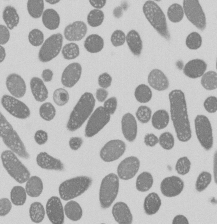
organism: E. coli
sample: Bacterial nucleoid